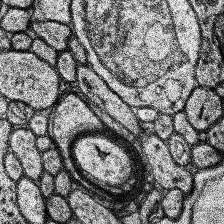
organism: Human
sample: Temporal Lobe